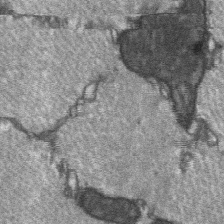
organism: C57BL Mouse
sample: Soleus